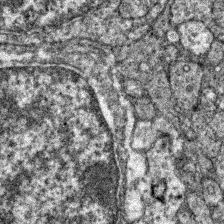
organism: Zebrafish